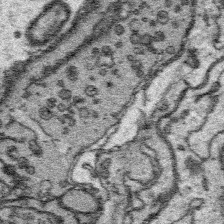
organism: Platynereis dumerilii